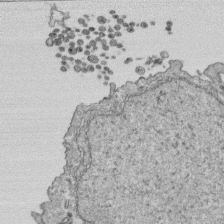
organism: Human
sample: HeLa cell HIV synapse